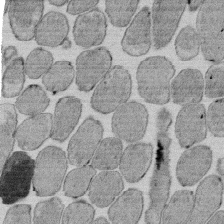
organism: E. coli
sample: Bacterial nucleoid